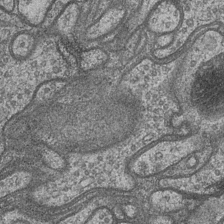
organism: Drosophila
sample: Optic medulla